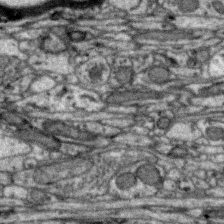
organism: Zebra finch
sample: Brain